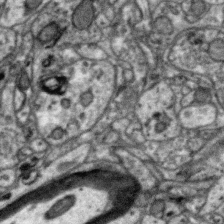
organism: Zebra finch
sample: Brain